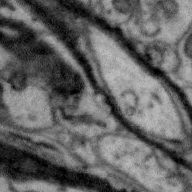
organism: Zebra finch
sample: Brain